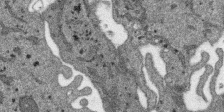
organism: Human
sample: Lung epithelial cells infected with SARS-CoV-2